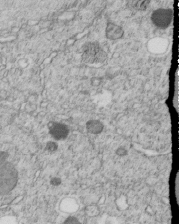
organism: C. elegans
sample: C. elegans embryo early stage